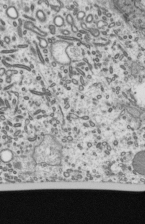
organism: Mouse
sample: Mouse epididymis efferent ductule cilia